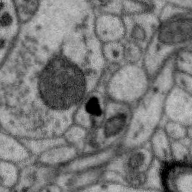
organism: Zebra finch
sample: Brain